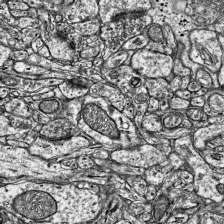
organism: Mouse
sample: Visual Cortex